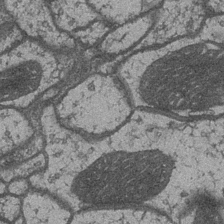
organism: Drosophila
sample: Optic medulla